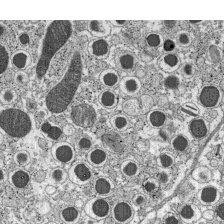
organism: C57BL Mouse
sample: Pancreatic islet